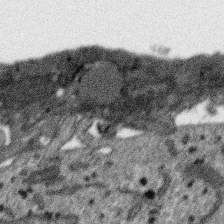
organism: Human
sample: Lung epithelial cells infected with SARS-CoV-2